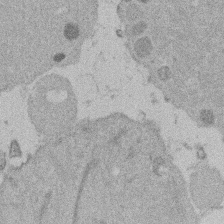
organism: Mouse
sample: Dividing mouse embryo 1 cell stage